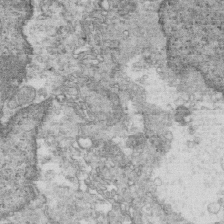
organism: Mouse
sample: Multiciliated cells